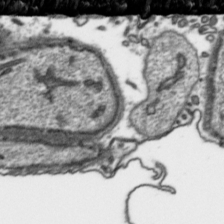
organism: Toxoplasma gondii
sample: Parasites in a vacuole inside a host cell